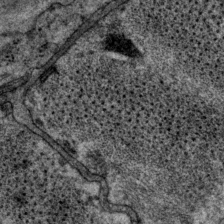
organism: P. pacificus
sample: Pharynx